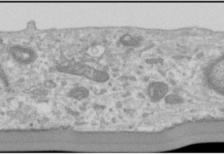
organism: Human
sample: Cilia; basal body in RPE cells